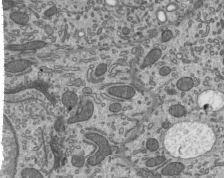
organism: Mouse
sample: Mouse epididymis efferent ductule cilia